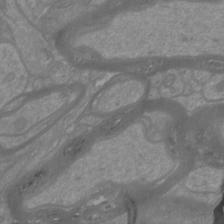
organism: Mouse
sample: Cortical neurons